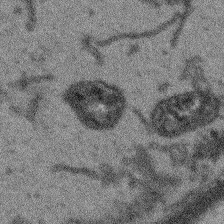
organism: Arabidopsis thaliana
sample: Root tip